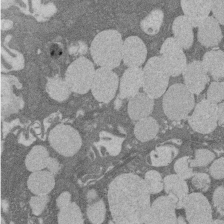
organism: Rat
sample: Salivary granule